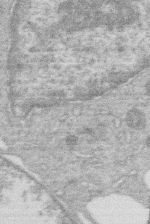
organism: Human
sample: Macrophage cells